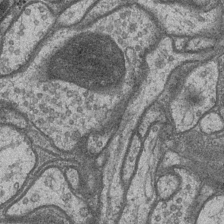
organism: Drosophila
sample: Optic medulla